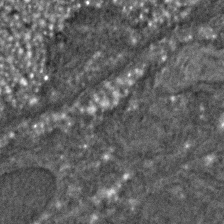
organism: C. elegans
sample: C. elegans embryo